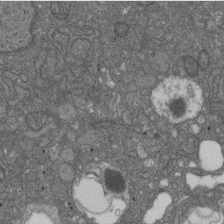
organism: Drosophila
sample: Nephrocyte